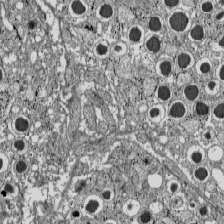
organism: C57BL Mouse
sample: Pancreatic islet